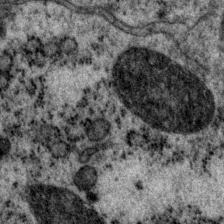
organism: P. pacificus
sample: Pharynx